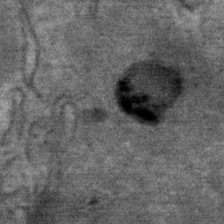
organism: Mouse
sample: Mouse Salivary gland